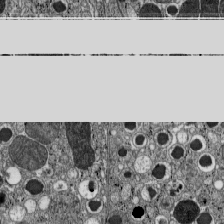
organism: C57BL Mouse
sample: Pancreatic islet